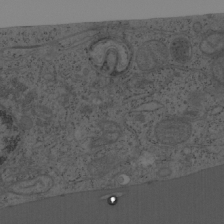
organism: Human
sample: HeLa cells